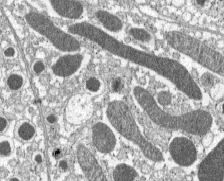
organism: C57BL Mouse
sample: Pancreatic islet